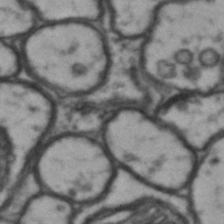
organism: Drosophila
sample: Brain